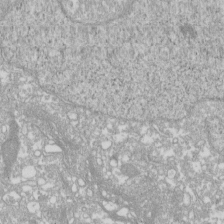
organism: Xenopus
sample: Cilia; centrioles in frog embryo cells